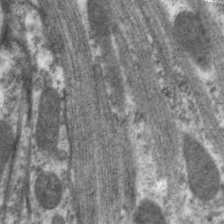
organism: C. elegans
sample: Pharynx